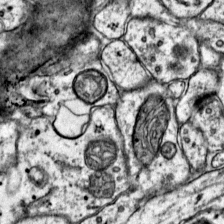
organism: Mouse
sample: Primary visual cortex